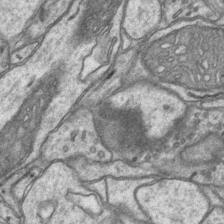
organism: Mouse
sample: CA1 Hippocampus